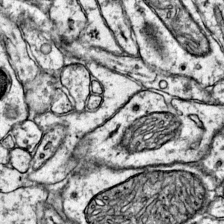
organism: Mouse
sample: Primary visual cortex